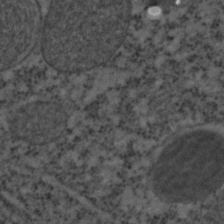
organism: C. elegans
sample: C. elegans embryo